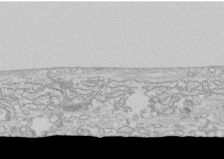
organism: Human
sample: CRL-1474